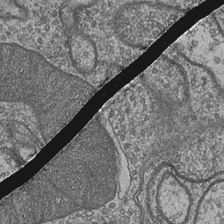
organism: Drosophila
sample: Optic medulla